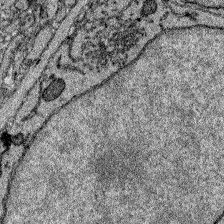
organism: Zebrafish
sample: Larval olfactory bulb